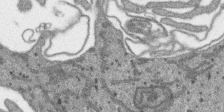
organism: Human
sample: Lung epithelial cells infected with SARS-CoV-2